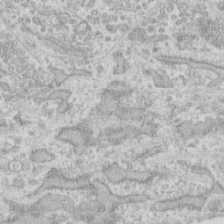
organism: Human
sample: Fibroblast cells